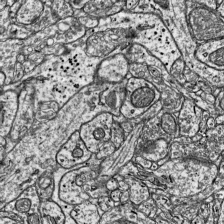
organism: Mouse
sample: Visual Cortex